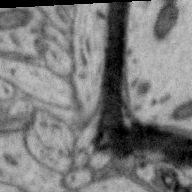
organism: Zebra finch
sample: Brain